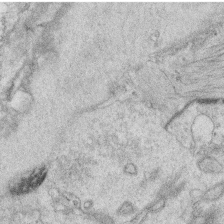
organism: C. elegans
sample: C. elegans oocyte; sperm cells